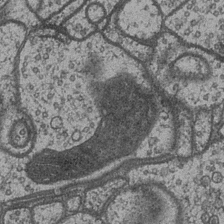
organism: Drosophila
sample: Optic medulla